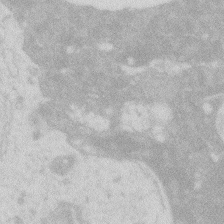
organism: Zebrafish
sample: Macrophage